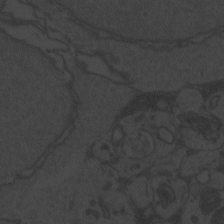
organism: Zebrafish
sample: Macrophage infected with Toxoplasma gondii